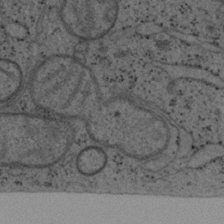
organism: Human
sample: HeLa cells